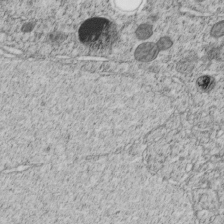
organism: C. elegans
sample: C. elegans embryo early stage